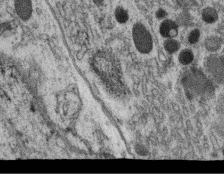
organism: C. elegans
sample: C. elegans oocyte; sperm cells